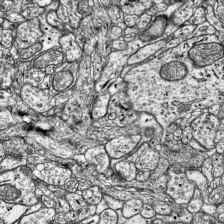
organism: Mouse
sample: Visual Cortex